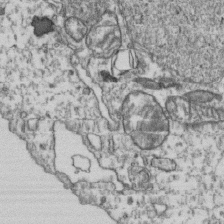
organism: Human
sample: Activated Jurkat CD4+ T cells